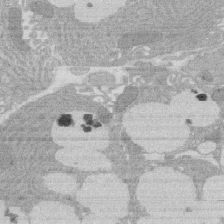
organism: Rat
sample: Salivary granule